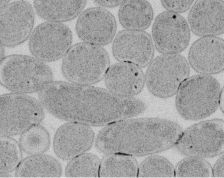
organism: E. coli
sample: Bacterial nucleoid